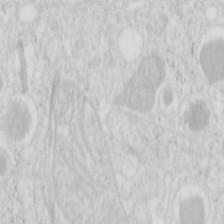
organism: Mouse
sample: Pancreas